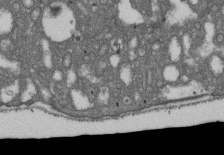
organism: Drosophila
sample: Nephrocyte